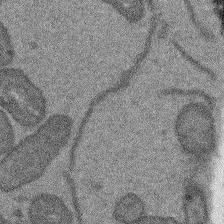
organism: Arabidopsis thaliana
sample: Root tip